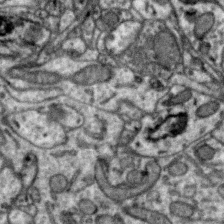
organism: Zebra finch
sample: Brain